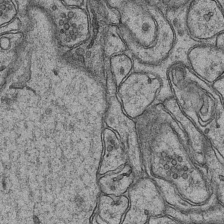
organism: Mouse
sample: CA1 Hippocampus